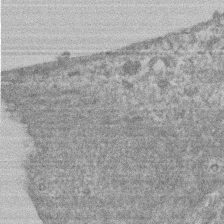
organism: Mouse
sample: T cell stromal cell synapse